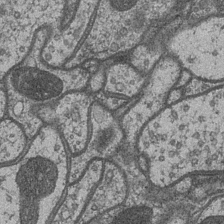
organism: Drosophila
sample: Optic medulla